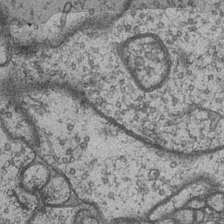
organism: Drosophila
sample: Optic medulla